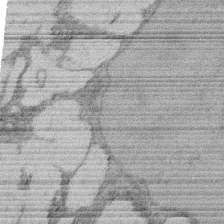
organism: Rat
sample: Salivary granule